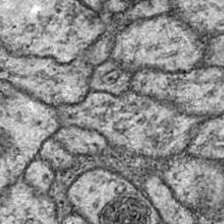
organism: Drosophila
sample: Ventral Nerve Cord